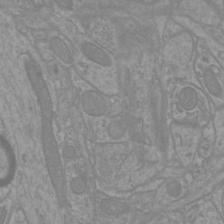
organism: Mouse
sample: Cortical neurons